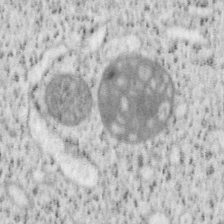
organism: Mouse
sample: OT-I killer T cells with ID8 ovarian cancer cells